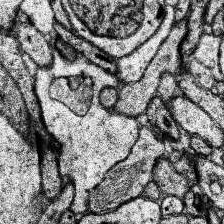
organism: Human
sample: Temporal Lobe